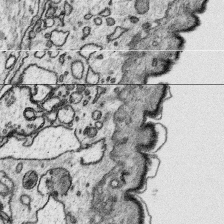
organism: Platynereis dumerilii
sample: Parapodia